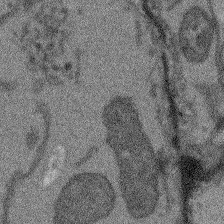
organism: Arabidopsis thaliana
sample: Root tip